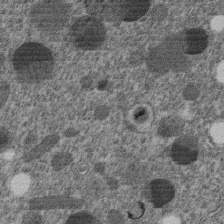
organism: C. elegans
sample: C. elegans embryo early stage